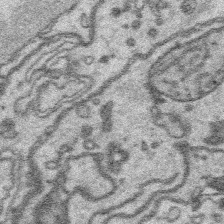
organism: Platynereis dumerilii